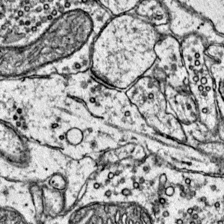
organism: Mouse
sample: Primary visual cortex